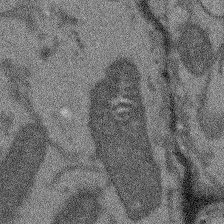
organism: Arabidopsis thaliana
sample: Root tip